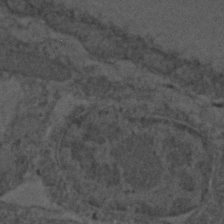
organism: C. elegans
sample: C. elegans embryo